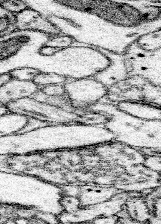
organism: Mouse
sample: Somatosensory cortex neuropil